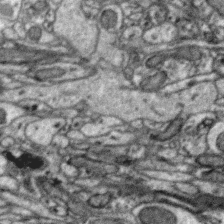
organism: Zebra finch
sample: Brain